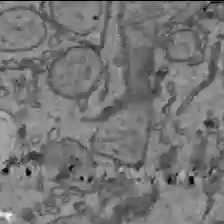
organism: C57BL Mouse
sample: Liver